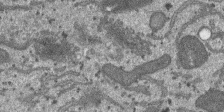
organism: Human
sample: Lung epithelial cells infected with SARS-CoV-2